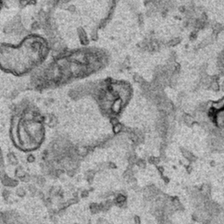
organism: Human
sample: Mitochondria in HCT116 cells